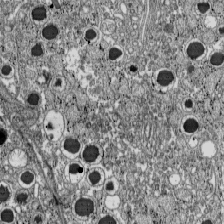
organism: C57BL Mouse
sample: Pancreatic islet